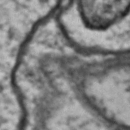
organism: Drosophila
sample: Brain